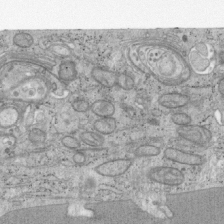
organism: Human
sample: HeLa cells